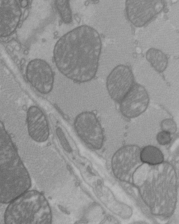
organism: C57BL Mouse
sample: Heart